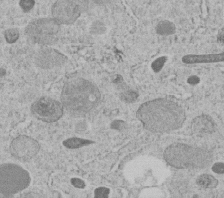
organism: C. elegans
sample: C. elegans embryo early stage